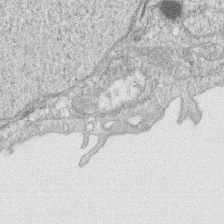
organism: Human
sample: HeLa cell HIV synapse